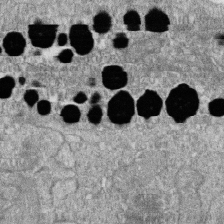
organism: Zebrafish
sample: Cilia; retinal pigment epithelium